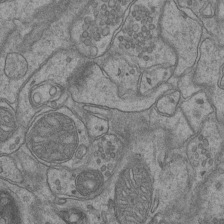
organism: Mouse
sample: CA1 Hippocampus